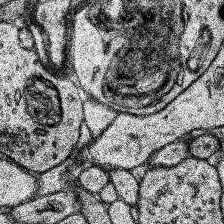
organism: Human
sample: Temporal Lobe